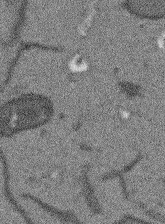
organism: Arabidopsis thaliana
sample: Root tip